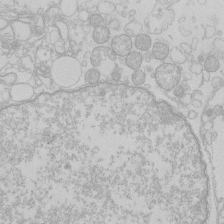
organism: Human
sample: Macrophage cells